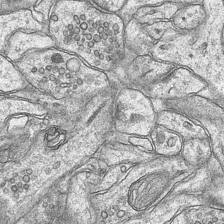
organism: Mouse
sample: CA1 Hippocampus